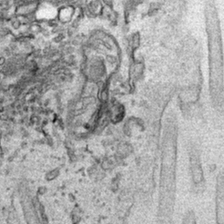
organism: Human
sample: Mitochondria in HCT116 cells